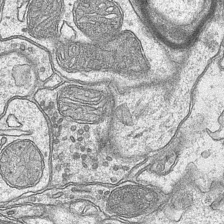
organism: Mouse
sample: CA1 Hippocampus